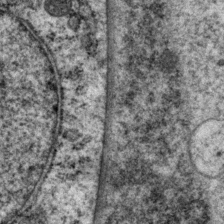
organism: P. pacificus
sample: Pharynx